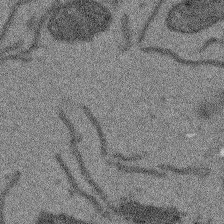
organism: Arabidopsis thaliana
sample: Root tip